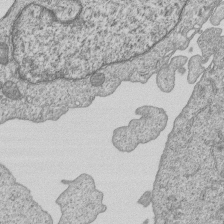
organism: Human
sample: MDA-MB-231 cells